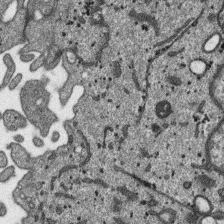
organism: Human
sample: Lung epithelial cells infected with SARS-CoV-2